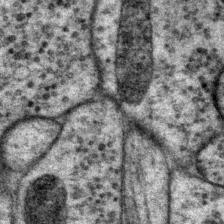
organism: P. pacificus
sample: Pharynx